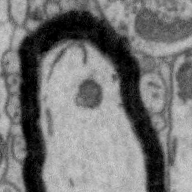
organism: Zebra finch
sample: Brain